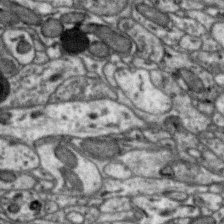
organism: Zebra finch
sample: Brain